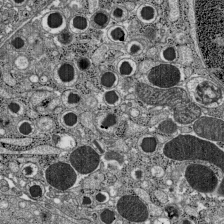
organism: C57BL Mouse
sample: Pancreatic islet